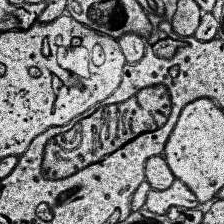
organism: Human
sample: Temporal Lobe